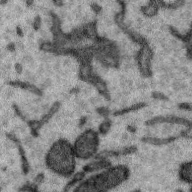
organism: Zebra finch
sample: Brain